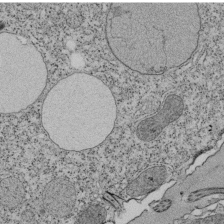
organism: Tetrahymena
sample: Cilia in tetrahymena